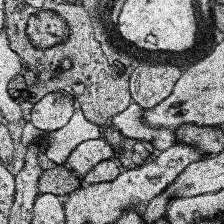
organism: Human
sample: Temporal Lobe